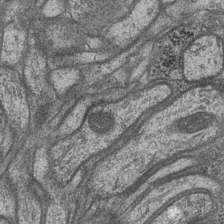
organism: Drosophila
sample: Optic medulla